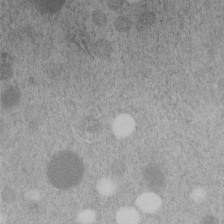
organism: C. elegans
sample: C. elegans embryo early stage